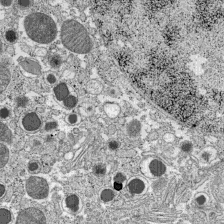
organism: C57BL Mouse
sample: Pancreatic islet